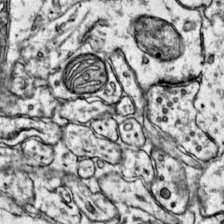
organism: Mouse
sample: Primary visual cortex